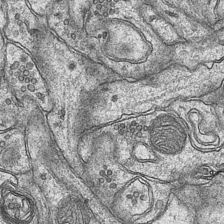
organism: Mouse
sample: CA1 Hippocampus